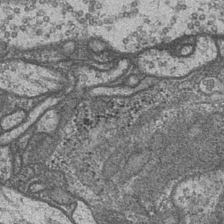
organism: Drosophila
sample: Optic medulla